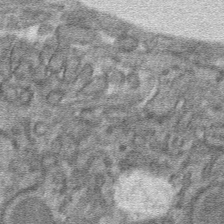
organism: Mouse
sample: Mouse hepatocytes